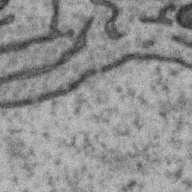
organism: Zebra finch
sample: Brain